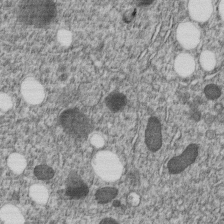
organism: C. elegans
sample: C. elegans embryo early stage